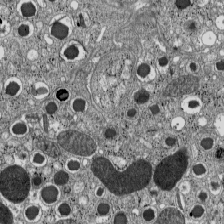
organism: C57BL Mouse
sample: Pancreatic islet